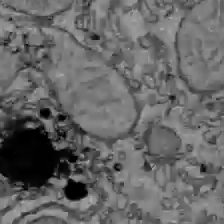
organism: C57BL Mouse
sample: Liver